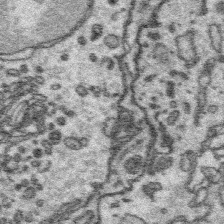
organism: Platynereis dumerilii